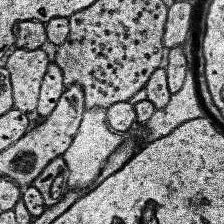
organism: Human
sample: Temporal Lobe